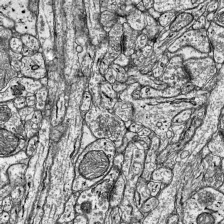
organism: Mouse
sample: Visual Cortex